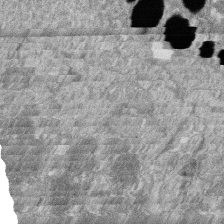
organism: Zebrafish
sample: Cilia; retinal pigment epithelium